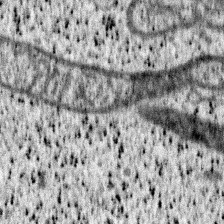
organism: Human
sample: HeLa cells